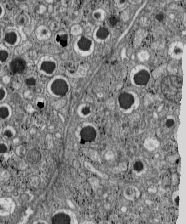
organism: C57BL Mouse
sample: Pancreatic islet